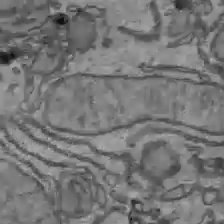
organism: C57BL Mouse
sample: Liver